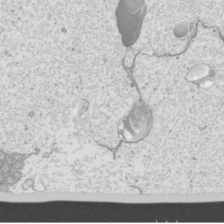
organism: Mouse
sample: Cilia; mouse epididymis